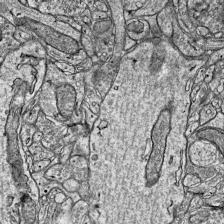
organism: Mouse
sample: Visual Cortex